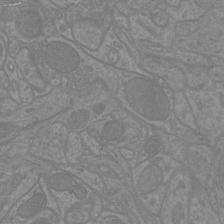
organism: Mouse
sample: Cortical neurons